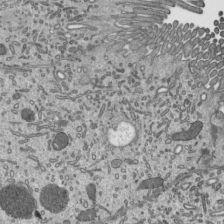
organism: Mouse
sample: Mouse epididymis efferent ductule cilia